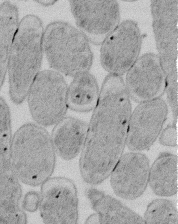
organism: E. coli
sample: Bacterial nucleoid